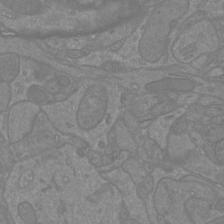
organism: Mouse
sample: Cortical neurons